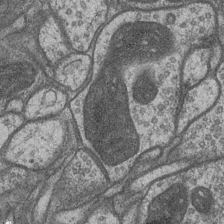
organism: Drosophila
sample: Optic medulla